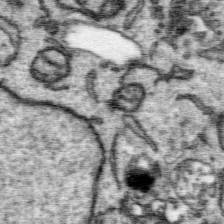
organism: Human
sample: HeLa cells